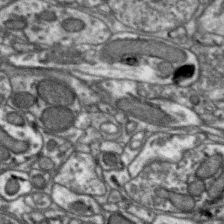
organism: Zebra finch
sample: Brain